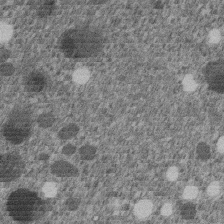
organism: C. elegans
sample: C. elegans embryo early stage